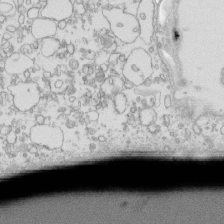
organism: Mouse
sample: Macrophages